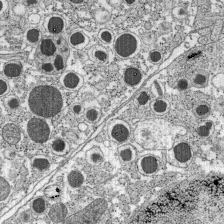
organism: C57BL Mouse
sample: Pancreatic islet